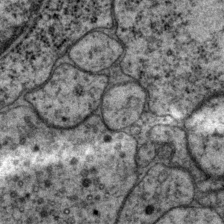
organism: P. pacificus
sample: Pharynx